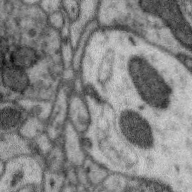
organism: Zebra finch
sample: Brain